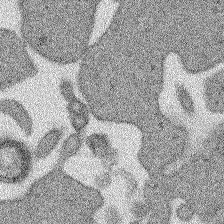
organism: Human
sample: HeLa cells